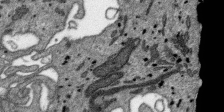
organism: Human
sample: Lung epithelial cells, uninfected (mock) control